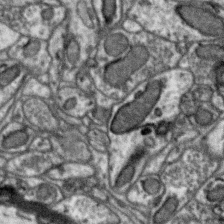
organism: Zebra finch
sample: Brain